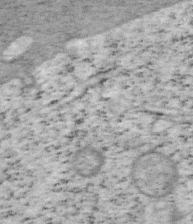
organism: Mouse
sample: OT-I killer T cells with ID8 ovarian cancer cells